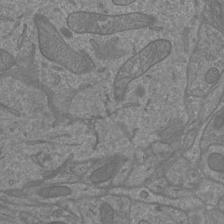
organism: Mouse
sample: Cortical neurons